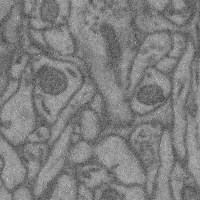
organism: Mouse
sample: Cerebral cortex